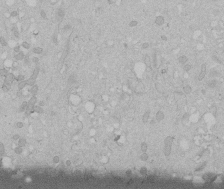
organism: Human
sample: Melanocyte Keratinocyte synapse skin construct